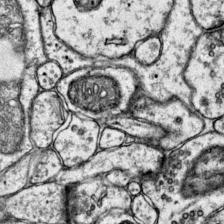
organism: Mouse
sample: Primary visual cortex